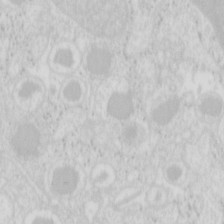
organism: Mouse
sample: Pancreas